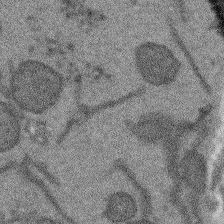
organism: Arabidopsis thaliana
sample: Root tip